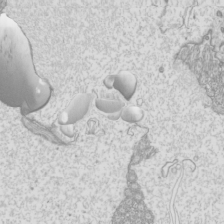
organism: Mouse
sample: Cilia; mouse epididymis